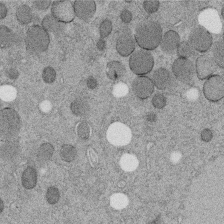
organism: C. elegans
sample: C. elegans embryo early stage